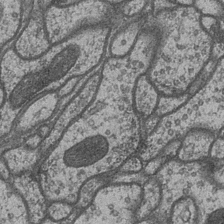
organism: Drosophila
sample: Optic medulla